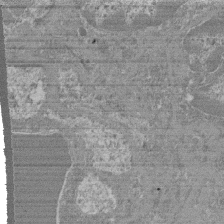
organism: Mouse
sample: Glomerulus